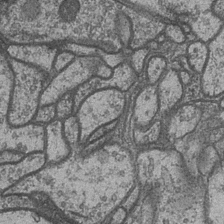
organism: Drosophila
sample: Optic medulla